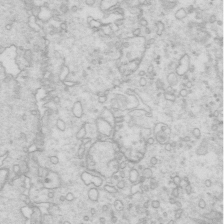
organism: Mouse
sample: Multiciliated cells